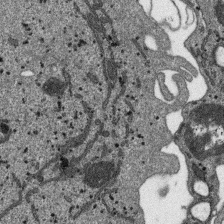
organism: Human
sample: Lung epithelial cells infected with SARS-CoV-2